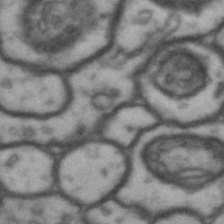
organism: Drosophila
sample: Brain